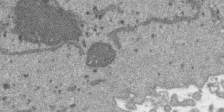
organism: Human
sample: Lung epithelial cells infected with SARS-CoV-2